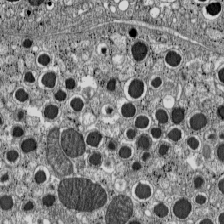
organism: C57BL Mouse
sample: Pancreatic islet